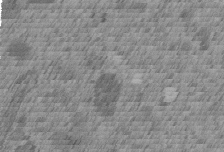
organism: C. elegans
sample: C. elegans embryo early stage